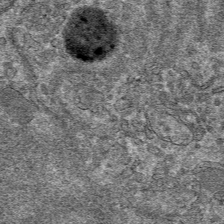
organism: Mouse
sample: Mouse hepatocytes